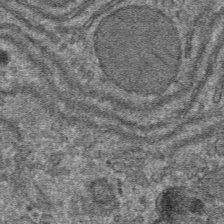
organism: Mouse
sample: Mouse hepatocytes